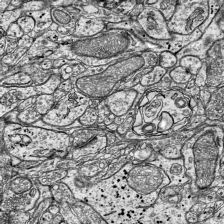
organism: Mouse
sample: Visual Cortex